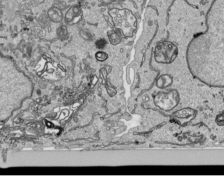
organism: Human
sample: Mitochondria in HCT116 cells